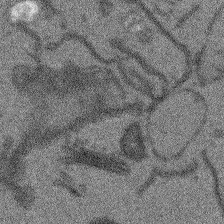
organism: Arabidopsis thaliana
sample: Root tip